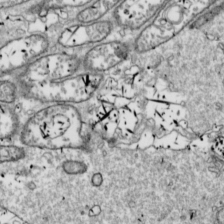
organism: Drosophila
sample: Cell division; meiosis; drosophila spermatocytes